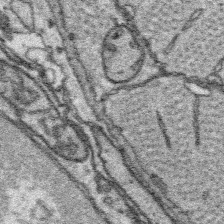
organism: Platynereis dumerilii